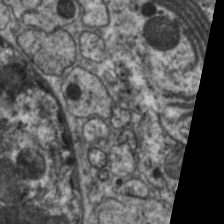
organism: C. elegans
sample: Pharynx